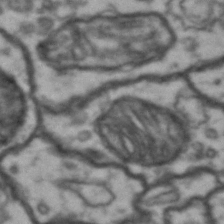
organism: Drosophila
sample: Brain